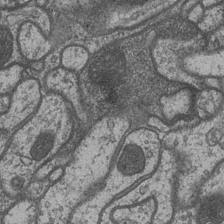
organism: Drosophila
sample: Optic medulla